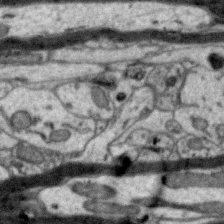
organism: Zebra finch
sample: Brain